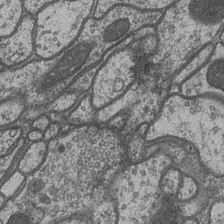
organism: Drosophila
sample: Optic medulla